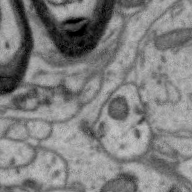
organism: Zebra finch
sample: Brain